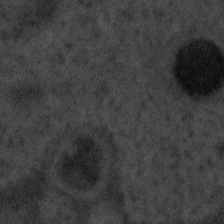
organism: Tuwongella immobilis